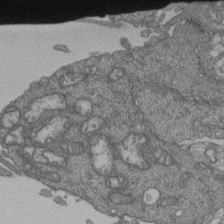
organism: Human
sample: Retinal organoid Rod and Cone cells